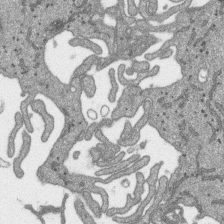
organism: Human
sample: Lung epithelial cells infected with SARS-CoV-2